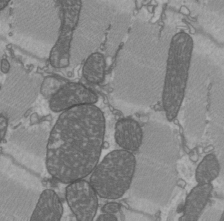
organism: C57BL Mouse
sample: Heart